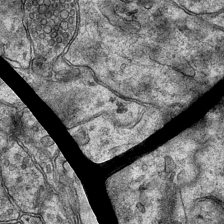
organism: Mouse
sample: CA1 Hippocampus